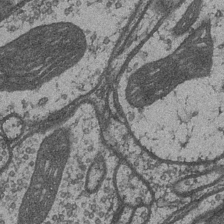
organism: Drosophila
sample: Optic medulla